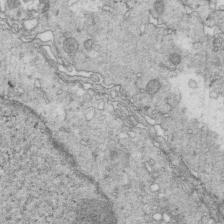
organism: Mouse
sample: Multiciliated cells